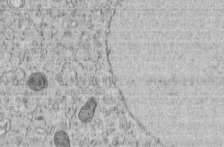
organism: C. elegans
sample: C. elegans embryo early stage